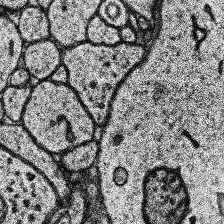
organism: Human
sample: Temporal Lobe